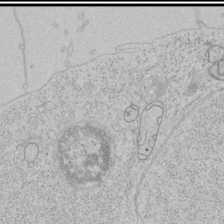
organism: Human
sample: Mitochondria in HCT116 cells